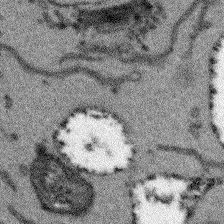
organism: Arabidopsis thaliana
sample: Root tip